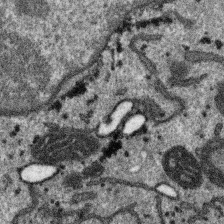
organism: Human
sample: Lung epithelial cells infected with SARS-CoV-2